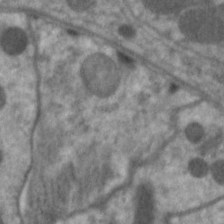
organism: C. elegans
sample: Pharynx